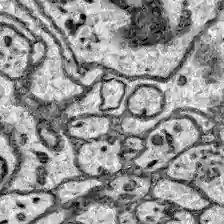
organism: Zebrafish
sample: Brain